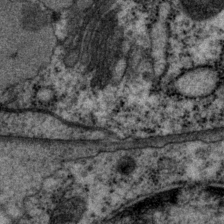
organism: P. pacificus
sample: Pharynx